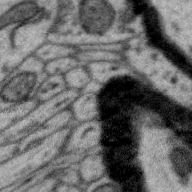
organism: Zebra finch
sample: Brain